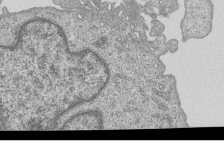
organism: Human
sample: MDA-MB-231 cells